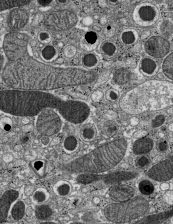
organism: C57BL Mouse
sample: Pancreatic islet